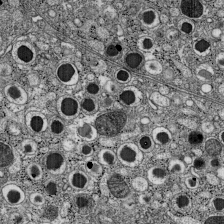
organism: C57BL Mouse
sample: Pancreatic islet